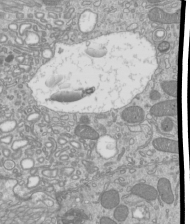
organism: Mouse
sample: Cilia; mouse epididymis